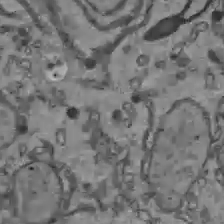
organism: C57BL Mouse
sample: Liver